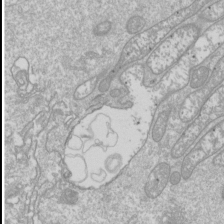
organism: Drosophila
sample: Cell division; meiosis; drosophila spermatocytes